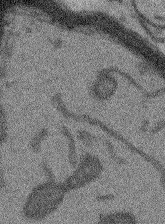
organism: Arabidopsis thaliana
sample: Root tip